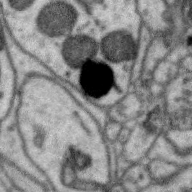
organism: Zebra finch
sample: Brain